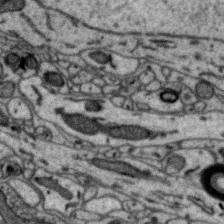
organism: Zebra finch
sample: Brain